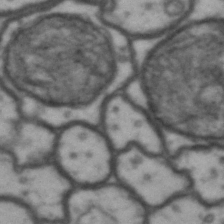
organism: Drosophila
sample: Brain